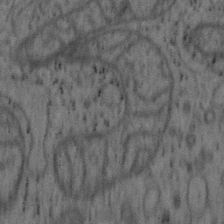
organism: Human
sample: HeLa cells